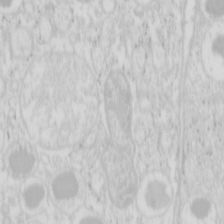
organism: Mouse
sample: Pancreas